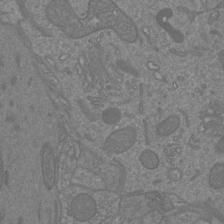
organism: Mouse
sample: Cortical neurons